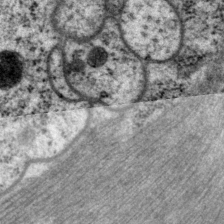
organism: P. pacificus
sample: Pharynx